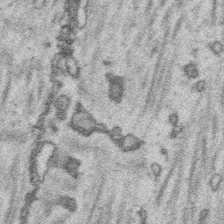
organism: Platynereis dumerilii